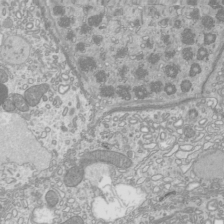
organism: Mouse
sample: Cilia; mouse epididymis